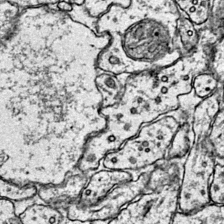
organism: Mouse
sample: Primary visual cortex